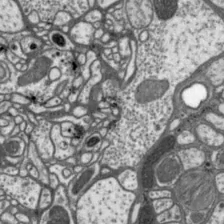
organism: Drosophila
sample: Protocerebral bridge